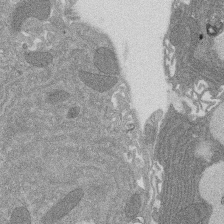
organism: Rat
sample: Salivary granule